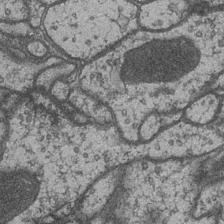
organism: Drosophila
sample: Optic medulla